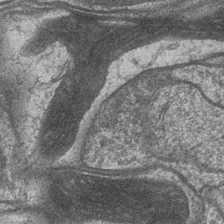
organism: Drosophila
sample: Optic medulla